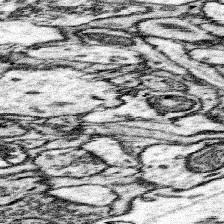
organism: Mouse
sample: Somatosensory cortex neuropil